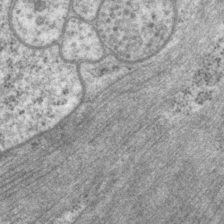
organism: P. pacificus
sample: Pharynx